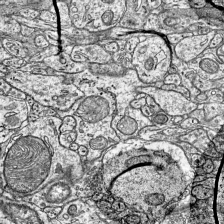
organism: Mouse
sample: Visual Cortex